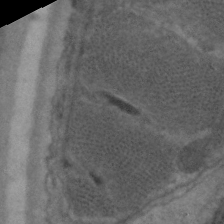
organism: C. elegans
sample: Pharynx